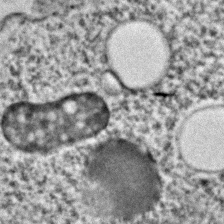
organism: C. elegans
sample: C. elegans embryo